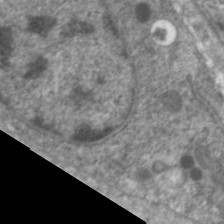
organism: C. elegans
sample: Pharynx